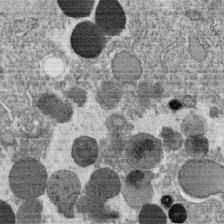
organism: C. elegans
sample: C. elegans oocyte; sperm cells